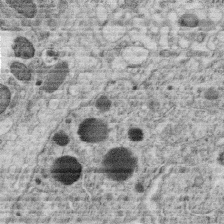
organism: C. elegans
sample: C. elegans oocyte; sperm cells